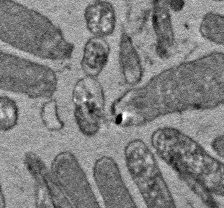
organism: E. coli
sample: E. Coli Bacteria